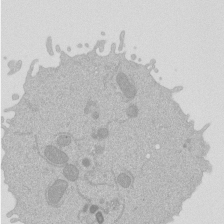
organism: Mouse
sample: Activated Pmel transgenic CD8+ T Cells